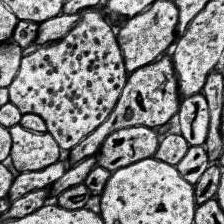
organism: Human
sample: Temporal Lobe